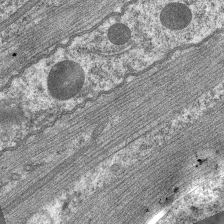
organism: C. elegans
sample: Pharynx